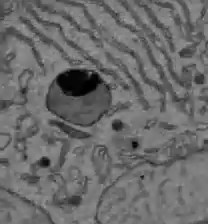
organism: C57BL Mouse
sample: Liver